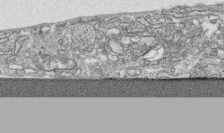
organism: Human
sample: CRL-1474